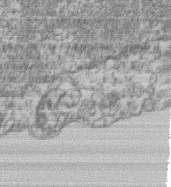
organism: Mouse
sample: T cell stromal cell synapse